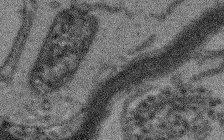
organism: Arabidopsis thaliana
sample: Root tip